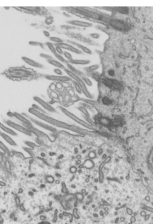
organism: Mouse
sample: Mouse epididymis efferent ductule cilia